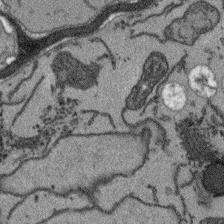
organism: Arabidopsis thaliana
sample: Root tip